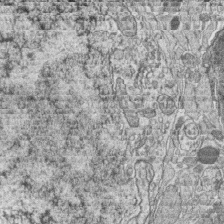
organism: Zebrafish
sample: synaptic ribbons in rod cells and cone cells